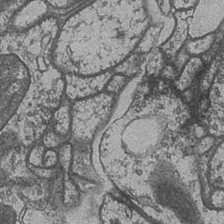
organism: Drosophila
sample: Optic medulla